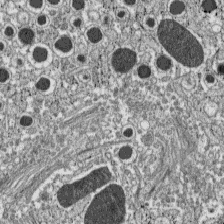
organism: C57BL Mouse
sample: Pancreatic islet